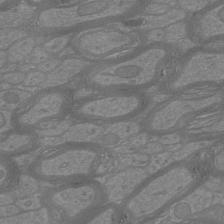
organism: Mouse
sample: Cortical neurons